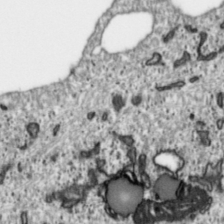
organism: Toxoplasma gondii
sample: Parasites in a vacuole inside a host cell